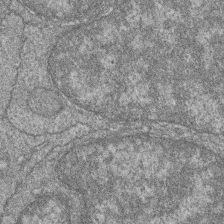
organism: Zebrafish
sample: Cilia; retinal pigment epithelium